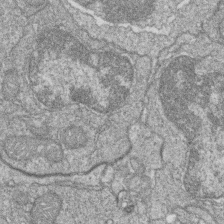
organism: Zebrafish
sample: Cilia; retinal pigment epithelium